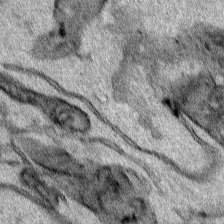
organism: Human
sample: Mitochondria in HCT116 cells